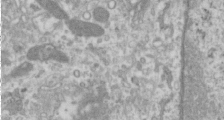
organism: Human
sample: Cilia; basal body in RPE cells